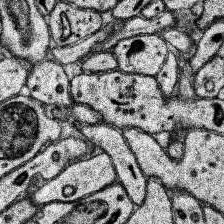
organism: Human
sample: Temporal Lobe